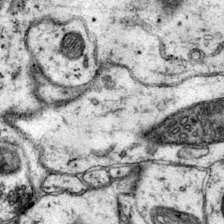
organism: Mouse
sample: Primary visual cortex